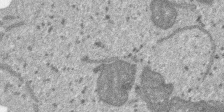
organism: Human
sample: Lung epithelial cells infected with SARS-CoV-2